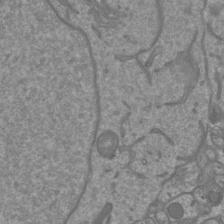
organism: Mouse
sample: Cortical neurons